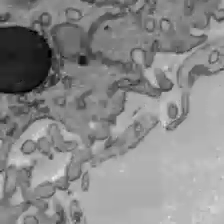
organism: C57BL Mouse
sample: Liver